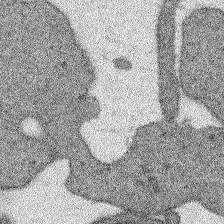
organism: Human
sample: HeLa cells